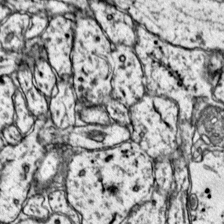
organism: Mouse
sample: Primary visual cortex